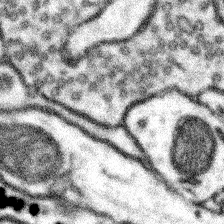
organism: Mouse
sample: Somatosensory cortex neuropil